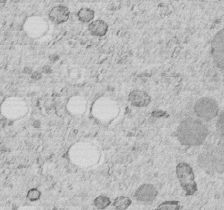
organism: C. elegans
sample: C. elegans embryo early stage